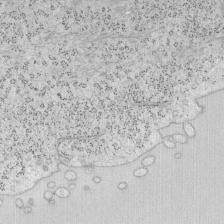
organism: Mouse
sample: OT-I killer T cells with ID8 ovarian cancer cells